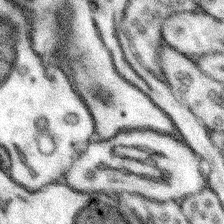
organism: Mouse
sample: Somatosensory cortex neuropil